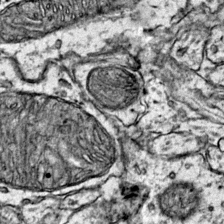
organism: Mouse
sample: Primary visual cortex